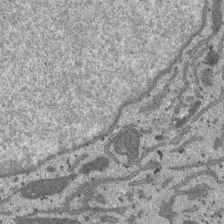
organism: Human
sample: Lung epithelial cells infected with SARS-CoV-2